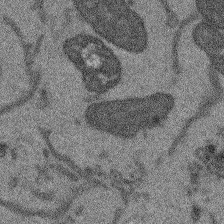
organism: Arabidopsis thaliana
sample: Root tip